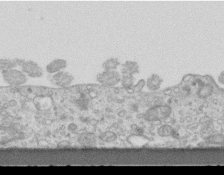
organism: Mouse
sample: Centriole in ependymal cells